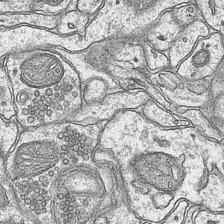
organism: Mouse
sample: CA1 Hippocampus